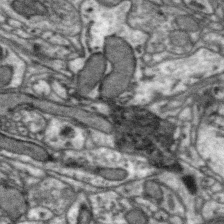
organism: Zebra finch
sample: Brain